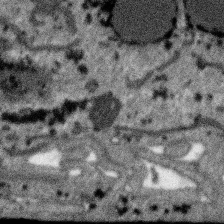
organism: Human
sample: Lung epithelial cells infected with SARS-CoV-2